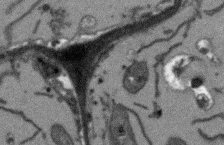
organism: Arabidopsis thaliana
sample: Root tip